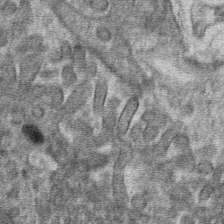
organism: Mouse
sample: Mouse hepatocytes